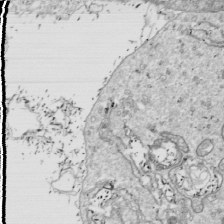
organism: Drosophila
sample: Cell division; meiosis; drosophila spermatocytes